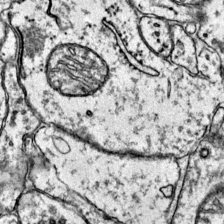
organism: Mouse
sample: Primary visual cortex